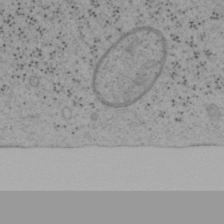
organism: Human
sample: HeLa cells